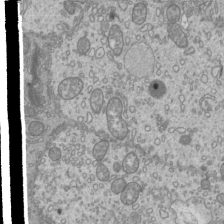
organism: Mouse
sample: Cilia; mouse epididymis